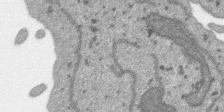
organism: Human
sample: Lung epithelial cells infected with SARS-CoV-2